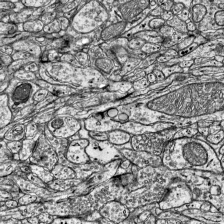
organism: Mouse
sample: Visual Cortex